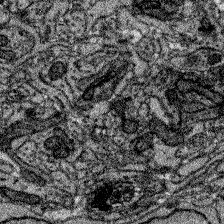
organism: Zebrafish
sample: Larval olfactory bulb